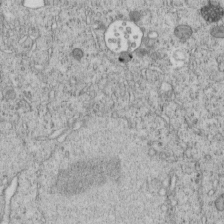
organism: C. elegans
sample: C. elegans embryo early stage